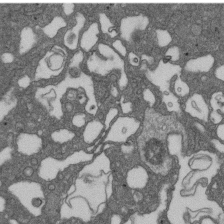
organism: Drosophila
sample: Nephrocyte